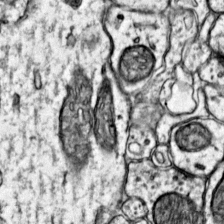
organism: Mouse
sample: Primary visual cortex